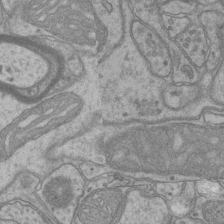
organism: Mouse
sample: CA1 Hippocampus